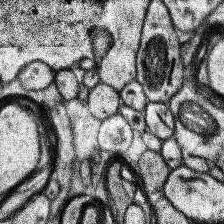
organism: Human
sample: Temporal Lobe